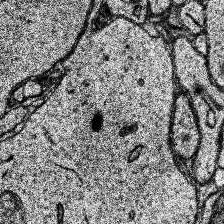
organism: Human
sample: Temporal Lobe